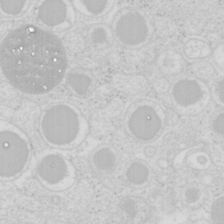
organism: Mouse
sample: Pancreas